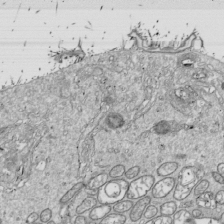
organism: Drosophila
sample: Cell division; meiosis; drosophila spermatocytes